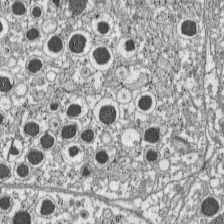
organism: C57BL Mouse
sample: Pancreatic islet